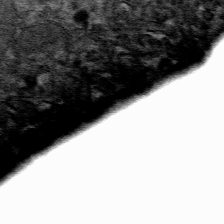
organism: Mouse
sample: Mouse hepatocytes